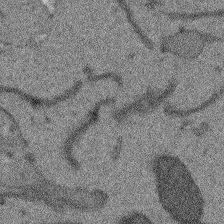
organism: Arabidopsis thaliana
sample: Root tip